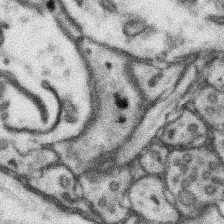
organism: Mouse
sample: Somatosensory cortex neuropil